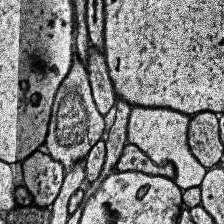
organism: Human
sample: Temporal Lobe